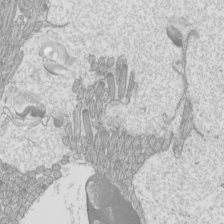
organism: Mouse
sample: Cilia; mouse epididymis